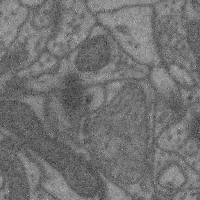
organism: Mouse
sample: Cerebral cortex